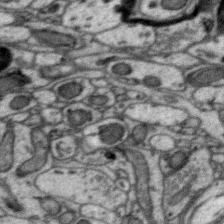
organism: Zebra finch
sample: Brain